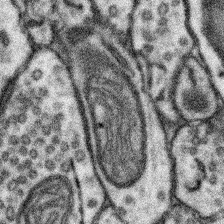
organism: Mouse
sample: Somatosensory cortex neuropil